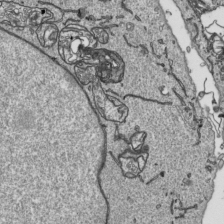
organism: Human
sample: Mitochondria in HCT116 cells